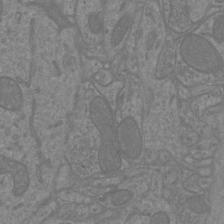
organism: Mouse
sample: Cortical neurons